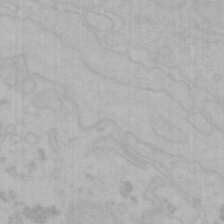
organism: Mouse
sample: Choroid plexus